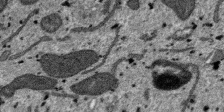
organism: Human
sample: Lung epithelial cells, uninfected (mock) control